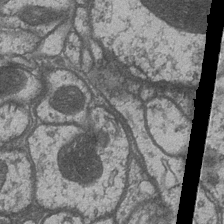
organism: Drosophila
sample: Optic medulla